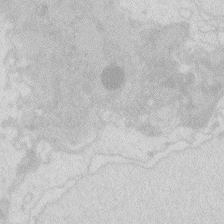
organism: Zebrafish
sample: Macrophage